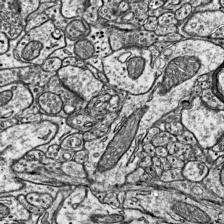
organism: Mouse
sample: Visual Cortex